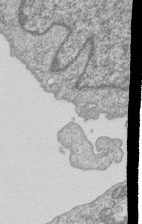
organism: Human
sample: MDA-MB-231 cells